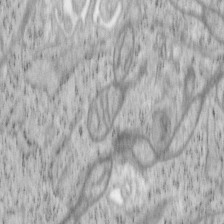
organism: Human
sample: HeLa cells